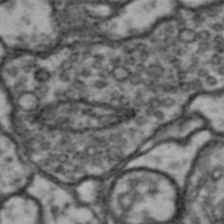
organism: Drosophila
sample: Brain